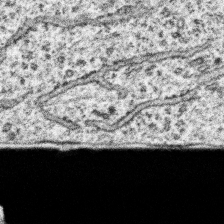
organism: Human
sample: HeLa cells